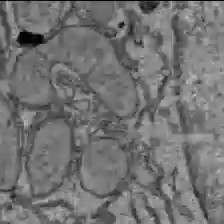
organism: C57BL Mouse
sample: Liver